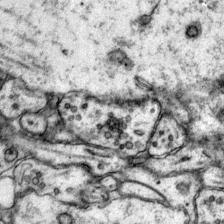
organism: Mouse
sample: Primary visual cortex